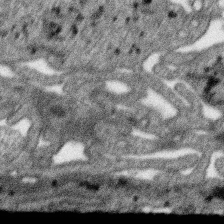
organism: Human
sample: Lung epithelial cells infected with SARS-CoV-2